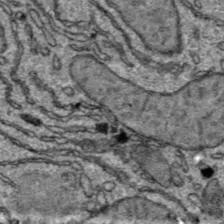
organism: C57BL Mouse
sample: Liver